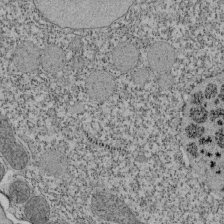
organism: Tetrahymena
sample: Cilia in tetrahymena